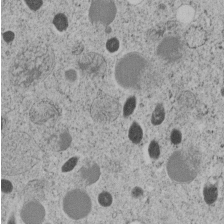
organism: C. elegans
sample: C. elegans embryo early stage